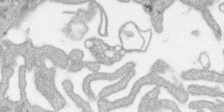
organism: Human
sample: Lung epithelial cells infected with SARS-CoV-2